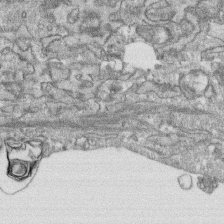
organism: Human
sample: CRL-1474